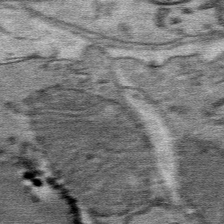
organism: Mouse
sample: Mouse Salivary gland